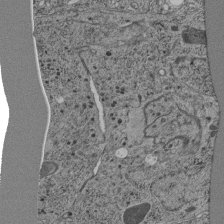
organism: C. elegans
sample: C. elegans pharynx